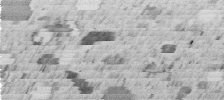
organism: C. elegans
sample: C. elegans embryo early stage